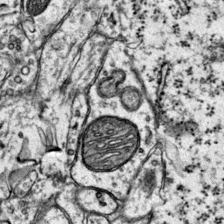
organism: Mouse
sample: Primary visual cortex